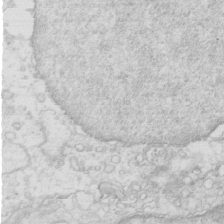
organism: Mouse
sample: Multiciliated cells